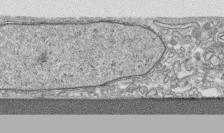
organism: Human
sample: CRL-1474